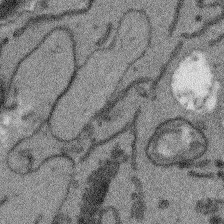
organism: Arabidopsis thaliana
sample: Root tip